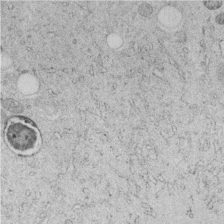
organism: C. elegans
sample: C. elegans embryo early stage